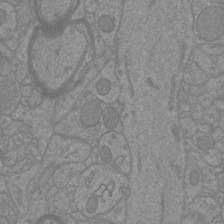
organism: Mouse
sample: Cortical neurons